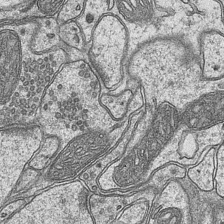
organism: Mouse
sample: CA1 Hippocampus